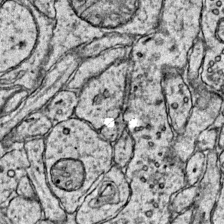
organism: Mouse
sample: Primary visual cortex